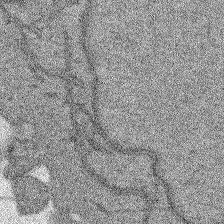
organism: Human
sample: HeLa cells